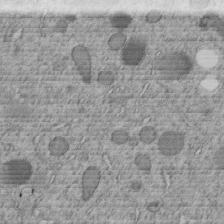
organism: C. elegans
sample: C. elegans embryo early stage